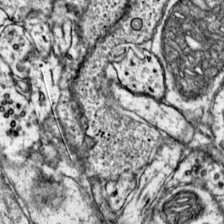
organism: Mouse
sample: Primary visual cortex